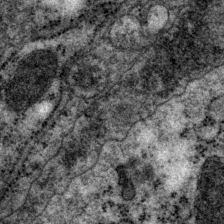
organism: P. pacificus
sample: Pharynx